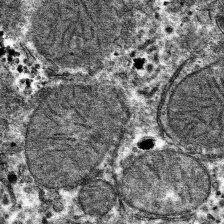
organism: Mouse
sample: Mouse hepatocytes